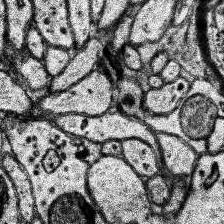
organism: Human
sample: Temporal Lobe